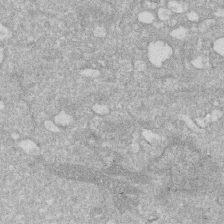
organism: Human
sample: HIV infected U937 cells